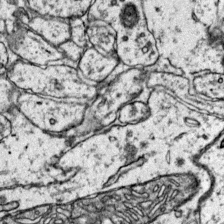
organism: Mouse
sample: Primary visual cortex